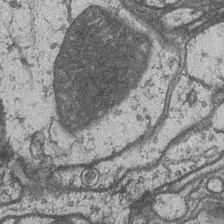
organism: Drosophila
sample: Optic medulla